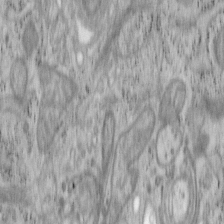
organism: Human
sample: HeLa cells